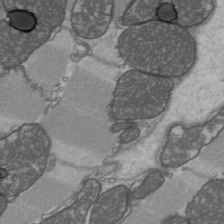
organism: C57BL Mouse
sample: Heart